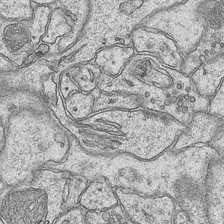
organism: Mouse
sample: CA1 Hippocampus